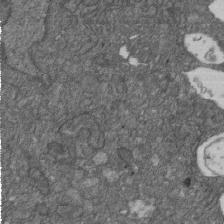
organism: Drosophila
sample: Nephrocyte